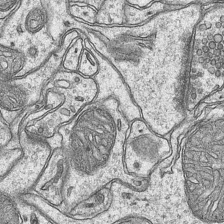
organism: Mouse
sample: CA1 Hippocampus